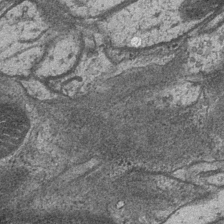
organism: Drosophila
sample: Optic medulla